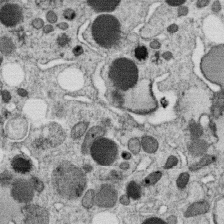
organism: C. elegans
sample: C. elegans oocyte; sperm cells